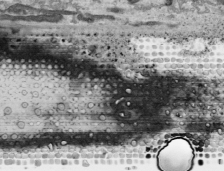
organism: Human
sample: Mitochondria in HCT116 cells